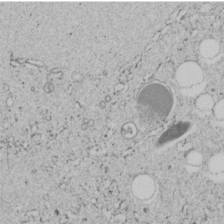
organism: C. elegans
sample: C. elegans embryo early stage